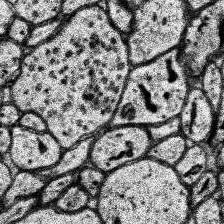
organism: Human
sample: Temporal Lobe